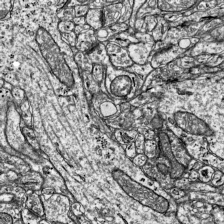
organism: Mouse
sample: Visual Cortex